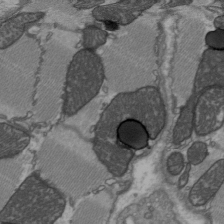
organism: C57BL Mouse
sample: Heart